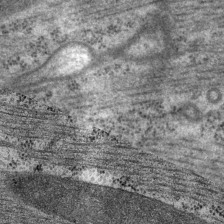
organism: P. pacificus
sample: Pharynx